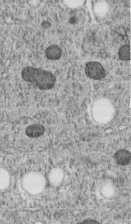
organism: C. elegans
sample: C. elegans embryo early stage